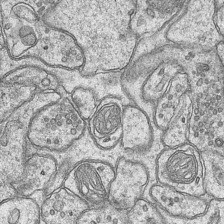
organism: Mouse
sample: CA1 Hippocampus